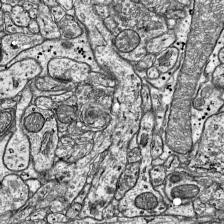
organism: Mouse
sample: Visual Cortex